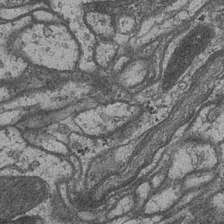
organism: Drosophila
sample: Optic medulla